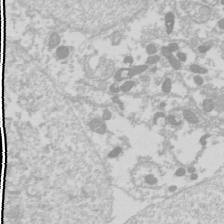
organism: Drosophila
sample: Cell division; meiosis; drosophila spermatocytes